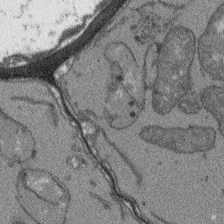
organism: Arabidopsis thaliana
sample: Root tip